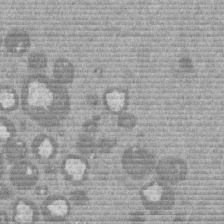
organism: Mouse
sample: Dividing mouse embryo 1 cell stage